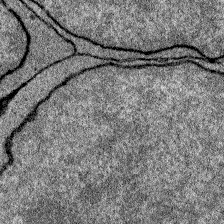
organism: Zebrafish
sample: Larval olfactory bulb